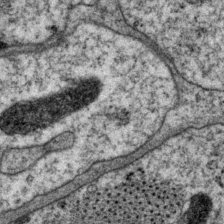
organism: P. pacificus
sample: Pharynx